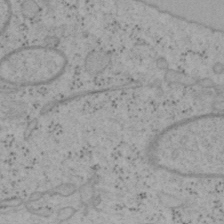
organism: Human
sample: HeLa cells